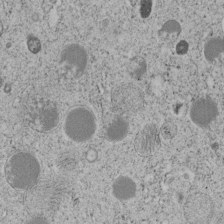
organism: C. elegans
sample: C. elegans embryo early stage